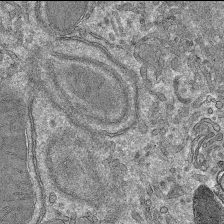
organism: Mouse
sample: Mouse hepatocytes